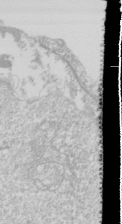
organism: Drosophila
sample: Cell division; meiosis; drosophila spermatocytes